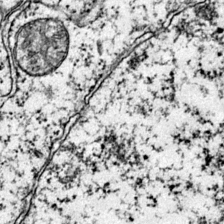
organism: Mouse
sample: Primary visual cortex